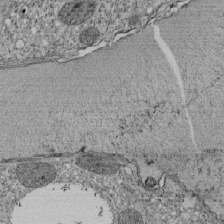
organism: Tetrahymena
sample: Cilia in tetrahymena